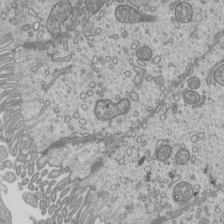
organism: Mouse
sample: Cilia; mouse epididymis